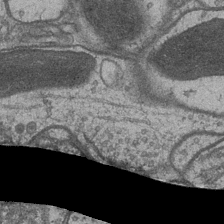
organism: Drosophila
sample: Optic medulla